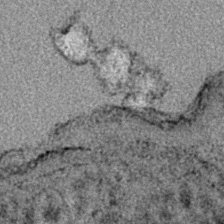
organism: E. coli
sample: E. Coli Bacteria